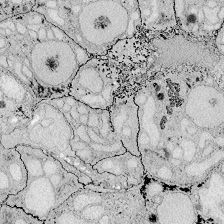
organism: Zebrafish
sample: Whole-Brain